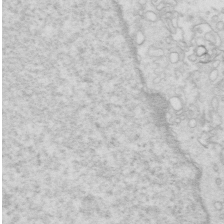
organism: Mouse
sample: Multiciliated cells